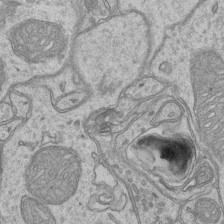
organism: Mouse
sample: CA1 Hippocampus